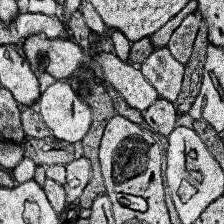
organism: Human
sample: Temporal Lobe